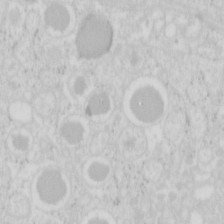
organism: Mouse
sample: Pancreas